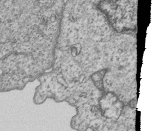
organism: Human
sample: MDA-MB-231 cells